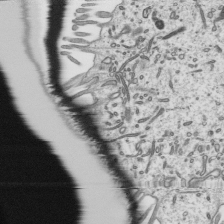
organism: Mouse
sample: Mouse epididymis efferent ductule cilia